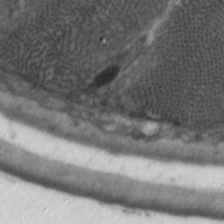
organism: C. elegans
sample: Pharynx